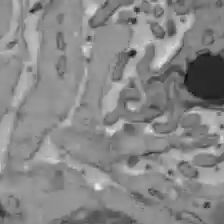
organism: C57BL Mouse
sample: Liver